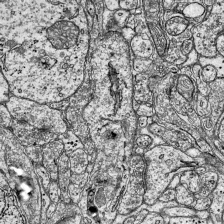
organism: Mouse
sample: Visual Cortex